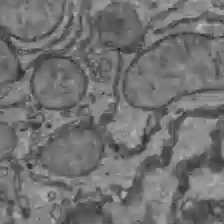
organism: C57BL Mouse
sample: Liver